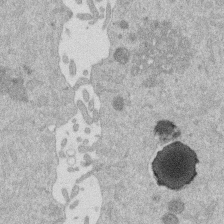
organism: Mouse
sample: Dividing mouse embryo 1 cell stage